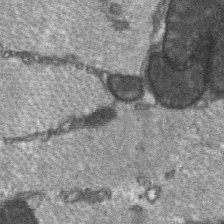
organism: C57BL Mouse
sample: Soleus